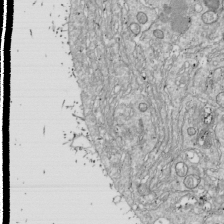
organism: Drosophila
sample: Cell division; meiosis; drosophila spermatocytes